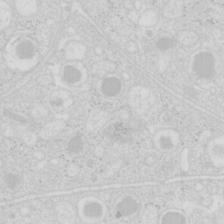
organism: Mouse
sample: Pancreas